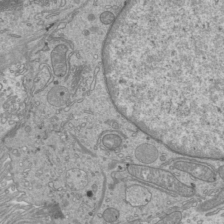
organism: Mouse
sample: Cilia; mouse epididymis